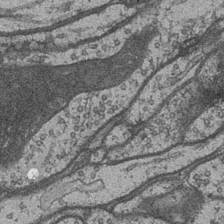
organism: Drosophila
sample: Optic medulla